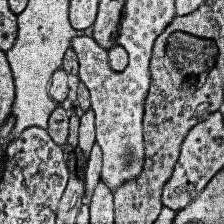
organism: Human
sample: Temporal Lobe